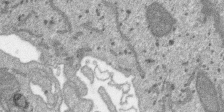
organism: Human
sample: Lung epithelial cells infected with SARS-CoV-2